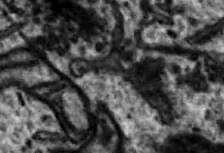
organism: Human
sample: HeLa cells